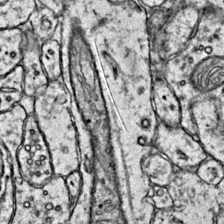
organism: Mouse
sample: Primary visual cortex